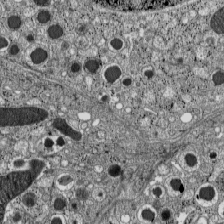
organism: C57BL Mouse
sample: Pancreatic islet